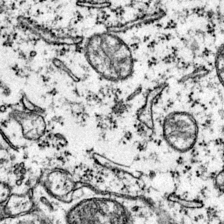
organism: Mouse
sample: Primary visual cortex